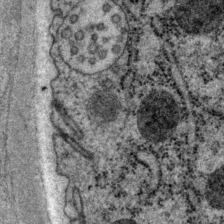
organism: P. pacificus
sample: Pharynx